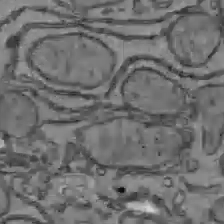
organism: C57BL Mouse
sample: Liver